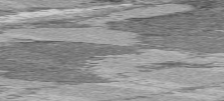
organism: C57BL Mouse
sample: Heart